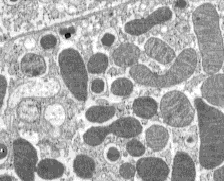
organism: C57BL Mouse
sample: Pancreatic islet